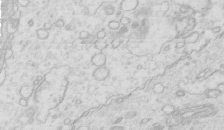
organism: Mouse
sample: Multiciliated cells